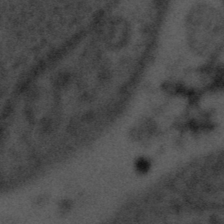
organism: Tuwongella immobilis